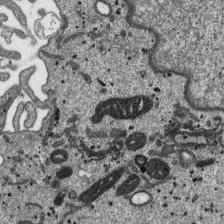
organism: Human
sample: Lung epithelial cells infected with SARS-CoV-2